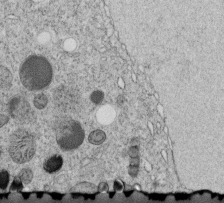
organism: C. elegans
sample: C. elegans embryo early stage